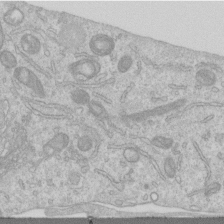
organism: Human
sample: Centriole in RPE cells